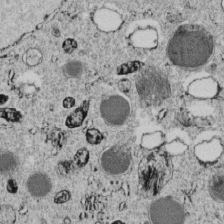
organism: C. elegans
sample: C. elegans embryo early stage